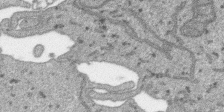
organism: Human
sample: Lung epithelial cells infected with SARS-CoV-2